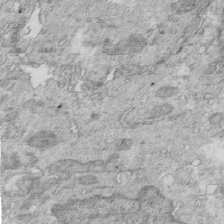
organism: Mouse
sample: Multiciliated cells